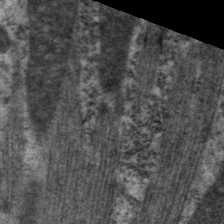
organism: C. elegans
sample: Pharynx